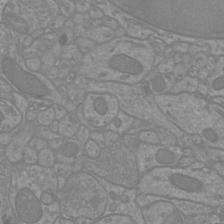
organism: Mouse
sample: Cortical neurons